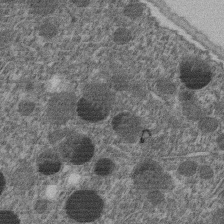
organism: C. elegans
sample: C. elegans embryo early stage